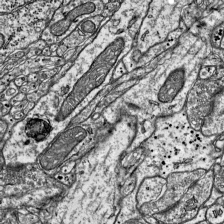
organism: Mouse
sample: Visual Cortex